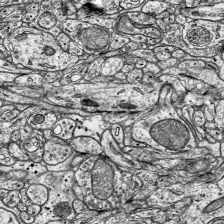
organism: Mouse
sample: Visual Cortex